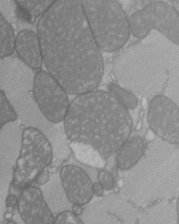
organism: C57BL Mouse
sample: Heart